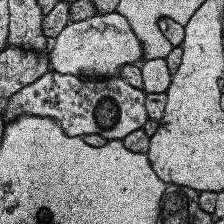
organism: Human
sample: Temporal Lobe